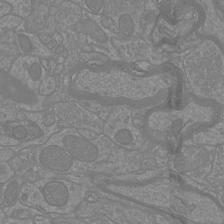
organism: Mouse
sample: Cortical neurons